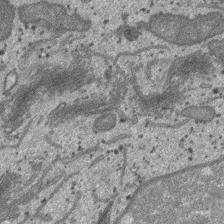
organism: Human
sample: Lung epithelial cells infected with SARS-CoV-2